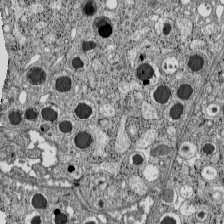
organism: C57BL Mouse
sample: Pancreatic islet